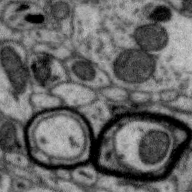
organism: Zebra finch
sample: Brain